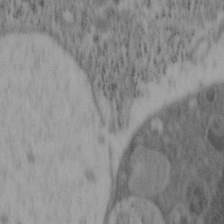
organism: Mouse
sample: OT-I killer T cells with ID8 ovarian cancer cells